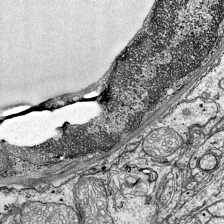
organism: Mouse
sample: Visual Cortex